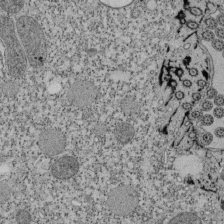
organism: Tetrahymena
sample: Cilia in tetrahymena